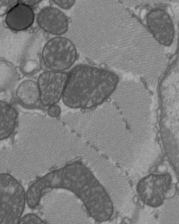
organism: C57BL Mouse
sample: Heart